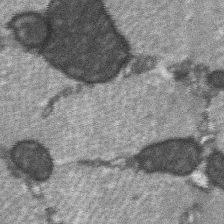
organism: C57BL Mouse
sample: Soleus